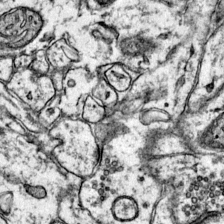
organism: Mouse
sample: Primary visual cortex